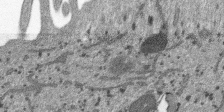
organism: Human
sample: Lung epithelial cells infected with SARS-CoV-2